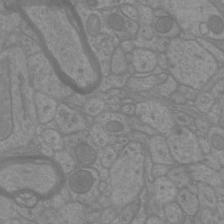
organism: Mouse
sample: Cortical neurons